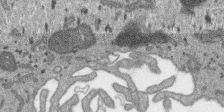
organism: Human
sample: Lung epithelial cells infected with SARS-CoV-2